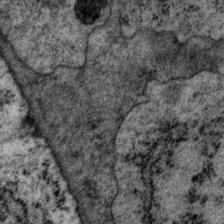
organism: P. pacificus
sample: Pharynx